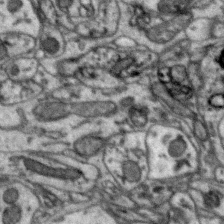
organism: Zebra finch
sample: Brain